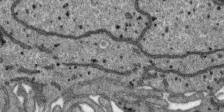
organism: Human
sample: Lung epithelial cells, uninfected (mock) control